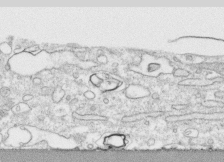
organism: Human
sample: CRL-1474